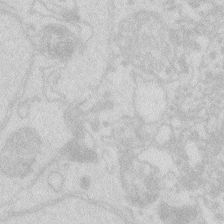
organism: Zebrafish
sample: Macrophage